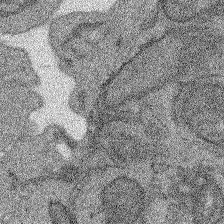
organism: Human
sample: HeLa cells